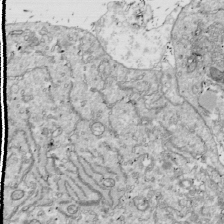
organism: Drosophila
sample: Cell division; meiosis; drosophila spermatocytes